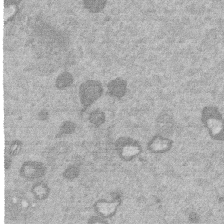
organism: Mouse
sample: Dividing mouse embryo 1 cell stage